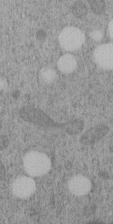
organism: C. elegans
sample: C. elegans embryo early stage